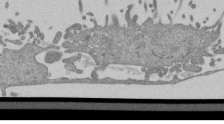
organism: Mouse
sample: ED-1 cell nuclei; centrioles